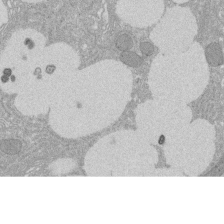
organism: Rat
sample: Salivary granule